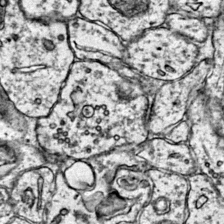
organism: Mouse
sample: Primary visual cortex